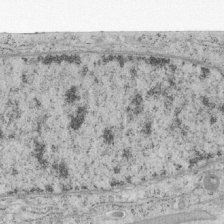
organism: Human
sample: HeLa cells